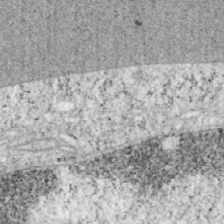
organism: Mouse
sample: OT-I killer T cells with ID8 ovarian cancer cells